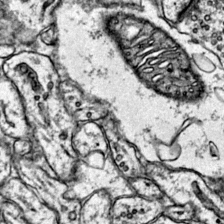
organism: Mouse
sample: Primary visual cortex